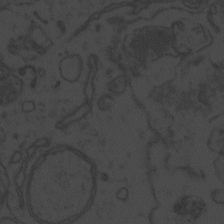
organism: Zebrafish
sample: Macrophage infected with Toxoplasma gondii